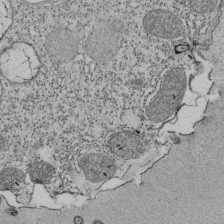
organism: Tetrahymena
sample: Cilia in tetrahymena